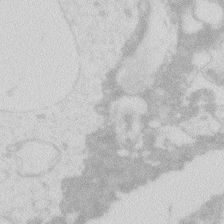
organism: Zebrafish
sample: Macrophage